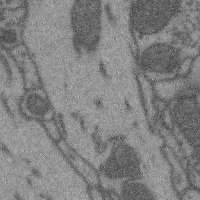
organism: Mouse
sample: Cerebral cortex